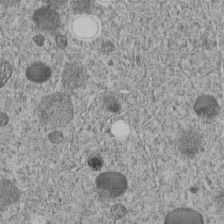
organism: C. elegans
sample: C. elegans embryo early stage